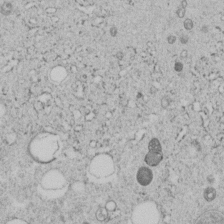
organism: C. elegans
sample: C. elegans embryo early stage